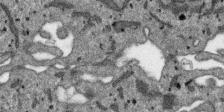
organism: Human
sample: Lung epithelial cells, uninfected (mock) control